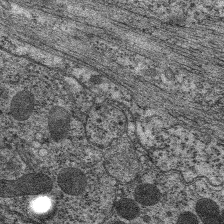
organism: C. elegans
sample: Pharynx